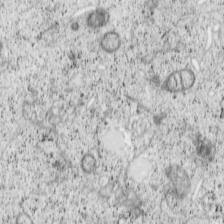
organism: African green monkey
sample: COS-7 cells